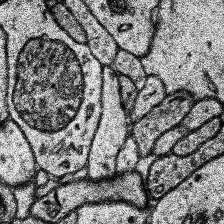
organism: Human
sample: Temporal Lobe